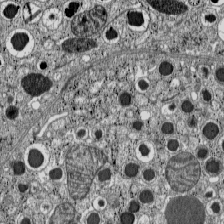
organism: C57BL Mouse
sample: Pancreatic islet